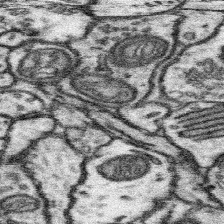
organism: Mouse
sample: Somatosensory cortex neuropil